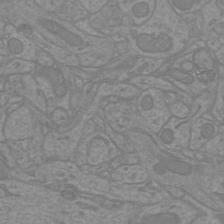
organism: Mouse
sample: Cortical neurons